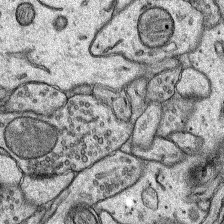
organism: Rat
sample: Hippocampus